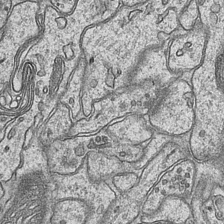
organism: Mouse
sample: CA1 Hippocampus